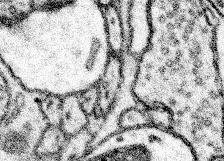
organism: Mouse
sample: Somatosensory cortex neuropil